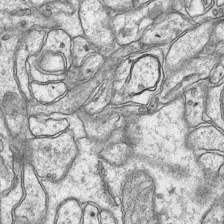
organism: Mouse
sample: CA1 Hippocampus